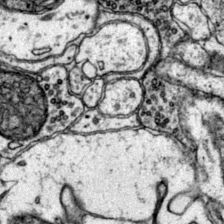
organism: Mouse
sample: Primary visual cortex